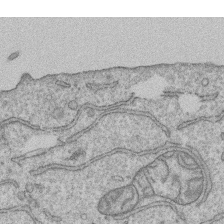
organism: Human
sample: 1205lu cells